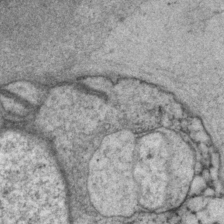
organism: P. pacificus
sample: Pharynx